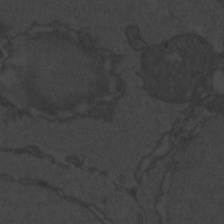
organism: Zebrafish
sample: Macrophage infected with Toxoplasma gondii